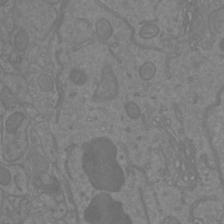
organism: Mouse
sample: Cortical neurons